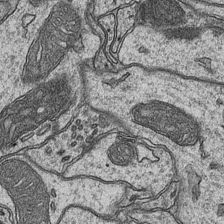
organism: Mouse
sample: CA1 Hippocampus